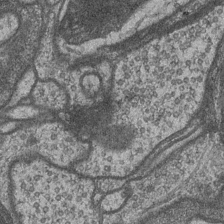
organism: Drosophila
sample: Optic medulla